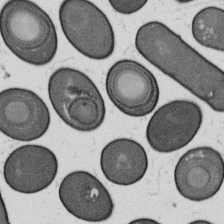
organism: B. subtilis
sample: Bacterial spore